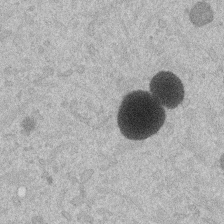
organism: Mouse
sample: Dividing mouse embryo 1 cell stage